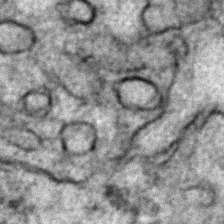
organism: Zebrafish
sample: Zebrafish embryo